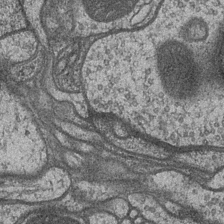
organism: Drosophila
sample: Optic medulla